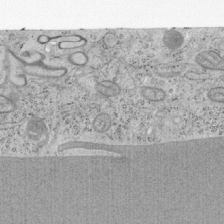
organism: Human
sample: HeLa cells